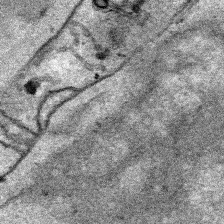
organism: Human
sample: Mitochondria in HCT116 cells